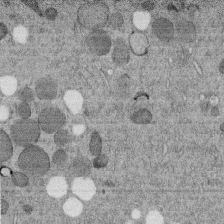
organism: C. elegans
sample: C. elegans embryo early stage